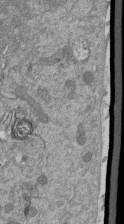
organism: Mouse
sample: ED-1 cell nuclei; centrioles